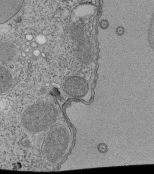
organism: Tetrahymena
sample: Cilia in tetrahymena